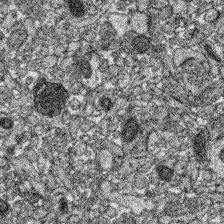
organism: Zebrafish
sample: Larval olfactory bulb